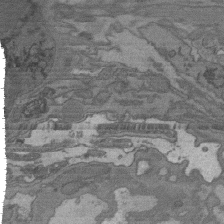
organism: C. elegans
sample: AFD neurons C. elegans